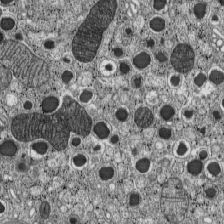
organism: C57BL Mouse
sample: Pancreatic islet